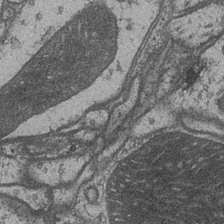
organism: Drosophila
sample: Optic medulla